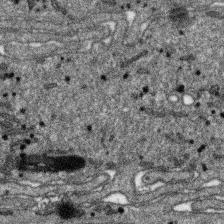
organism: Human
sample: Lung epithelial cells infected with SARS-CoV-2